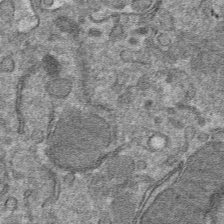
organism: Mouse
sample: Mouse hepatocytes